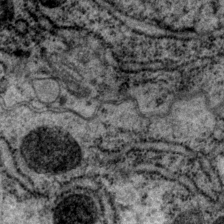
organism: P. pacificus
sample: Pharynx